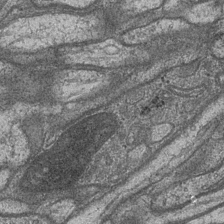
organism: Drosophila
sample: Optic medulla